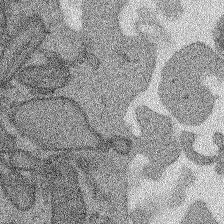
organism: Human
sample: HeLa cells